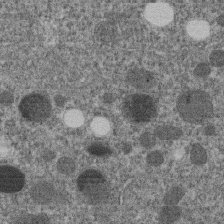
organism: C. elegans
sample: C. elegans embryo early stage